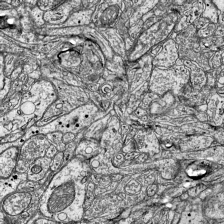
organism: Mouse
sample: Visual Cortex